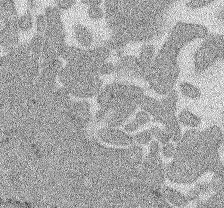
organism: Human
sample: HeLa cells